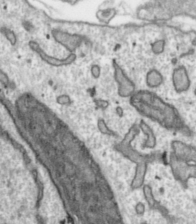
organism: Toxoplasma gondii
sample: Parasites in a vacuole inside a host cell